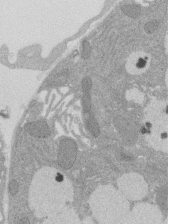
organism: Rat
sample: Salivary granule